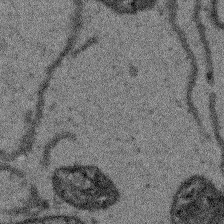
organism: Arabidopsis thaliana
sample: Root tip